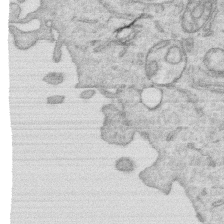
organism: Human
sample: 1205lu cells